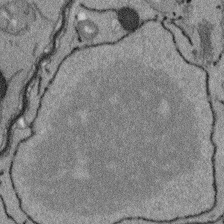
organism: Arabidopsis thaliana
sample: Root tip